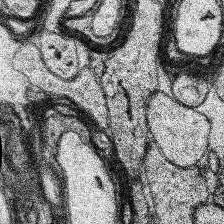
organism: Human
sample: Temporal Lobe